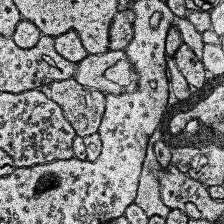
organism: Human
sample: Temporal Lobe